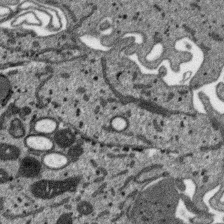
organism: Human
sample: Lung epithelial cells infected with SARS-CoV-2